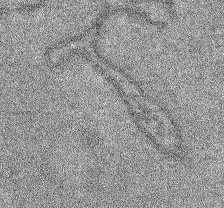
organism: Human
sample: HeLa cells